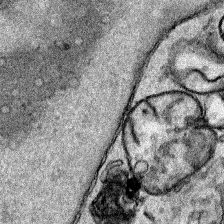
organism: Human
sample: Mitochondria in HCT116 cells